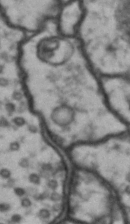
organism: Drosophila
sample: Brain